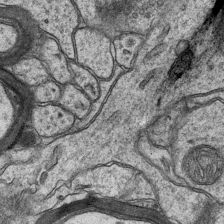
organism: Mouse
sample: CA1 Hippocampus